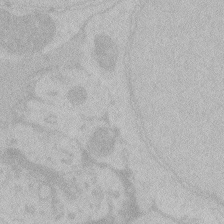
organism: Zebrafish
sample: Macrophage infected with Toxoplasma gondii